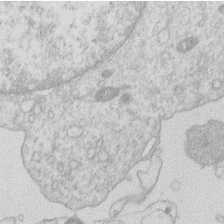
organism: Human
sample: Macrophage cells